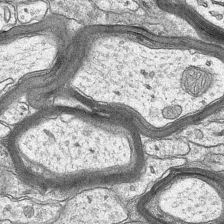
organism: Mouse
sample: CA1 Hippocampus